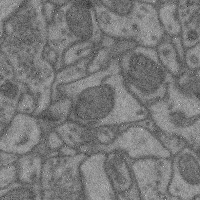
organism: Mouse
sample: Cerebral cortex